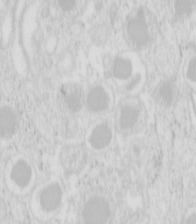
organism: Mouse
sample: Pancreas